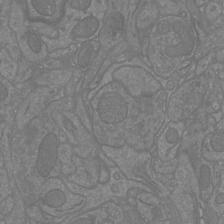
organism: Mouse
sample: Cortical neurons